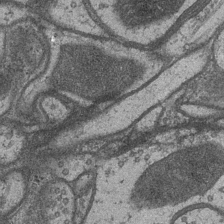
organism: Drosophila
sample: Optic medulla